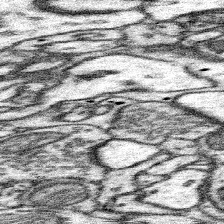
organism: Mouse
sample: Somatosensory cortex neuropil